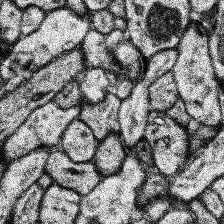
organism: Human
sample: Temporal Lobe